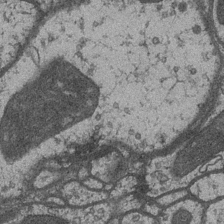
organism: Drosophila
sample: Optic medulla